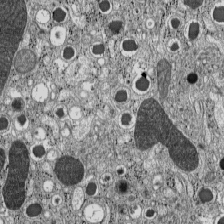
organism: C57BL Mouse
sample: Pancreatic islet